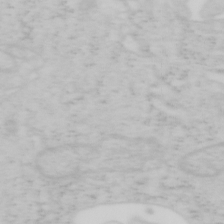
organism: Mouse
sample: OT-I killer T cells with ID8 ovarian cancer cells